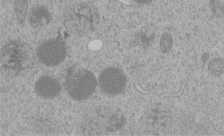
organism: C. elegans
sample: C. elegans embryo early stage